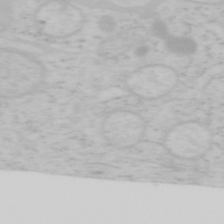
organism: Mouse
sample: OT-I killer T cells with ID8 ovarian cancer cells